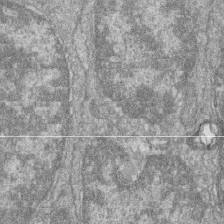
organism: Zebrafish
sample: Cilia; retinal pigment epithelium